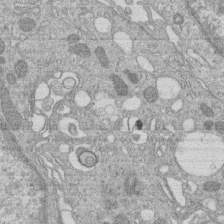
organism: Human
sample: Macrophage cells